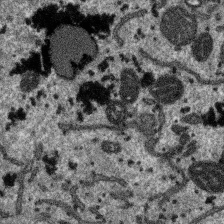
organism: Human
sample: Lung epithelial cells infected with SARS-CoV-2